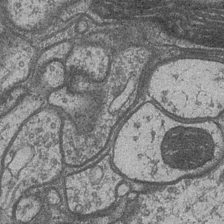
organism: Drosophila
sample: Optic medulla